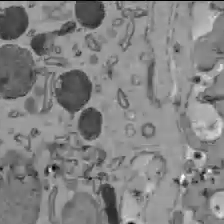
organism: C57BL Mouse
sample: Liver